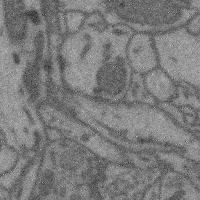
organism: Mouse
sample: Cerebral cortex